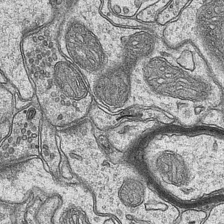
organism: Mouse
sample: CA1 Hippocampus